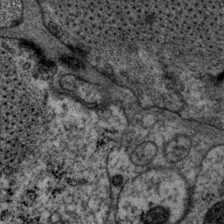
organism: P. pacificus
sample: Pharynx